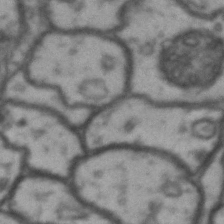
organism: Drosophila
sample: Brain